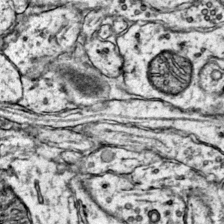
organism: Mouse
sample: Primary visual cortex